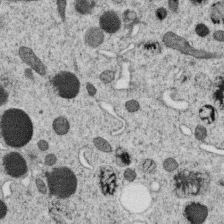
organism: C. elegans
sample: C. elegans oocyte; sperm cells